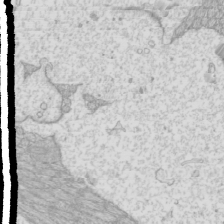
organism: Mouse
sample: Cilia; mouse epididymis